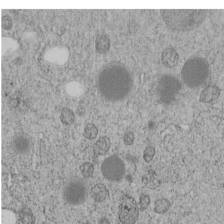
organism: C. elegans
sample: C. elegans embryo early stage